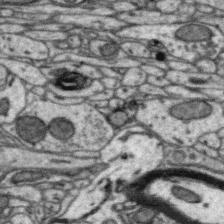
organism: Zebra finch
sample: Brain